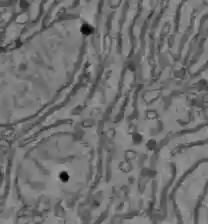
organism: C57BL Mouse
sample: Liver